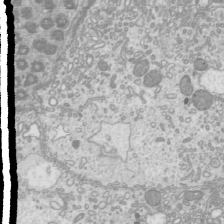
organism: Mouse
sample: Cilia; mouse epididymis